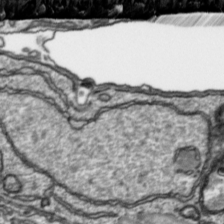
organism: Toxoplasma gondii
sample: Parasites in a vacuole inside a host cell